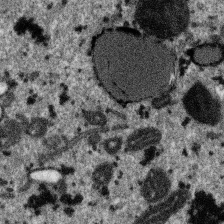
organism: Human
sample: Lung epithelial cells infected with SARS-CoV-2